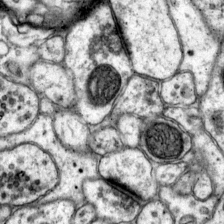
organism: Mouse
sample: Primary visual cortex